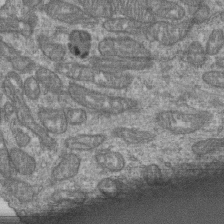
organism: Human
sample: Retinal organoid Rod and Cone cells